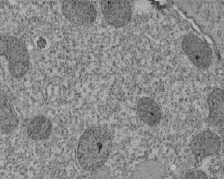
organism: Tetrahymena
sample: Cilia in tetrahymena